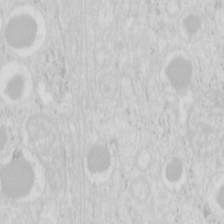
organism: Mouse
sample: Pancreas